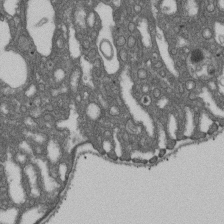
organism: Drosophila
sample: Nephrocyte